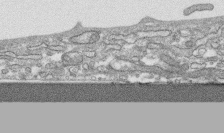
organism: Human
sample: CRL-1474